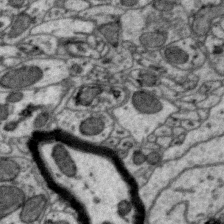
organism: Zebra finch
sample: Brain